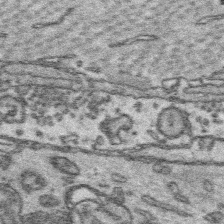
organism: Platynereis dumerilii